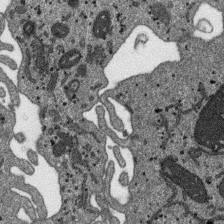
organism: Human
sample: Lung epithelial cells infected with SARS-CoV-2